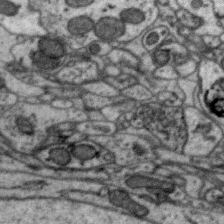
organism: Zebra finch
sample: Brain